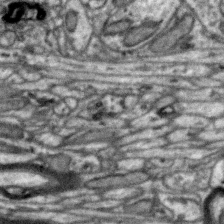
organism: Zebra finch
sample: Brain